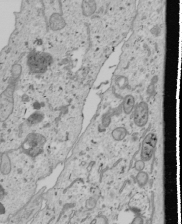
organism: Human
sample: Mitochondria in U2OS cells